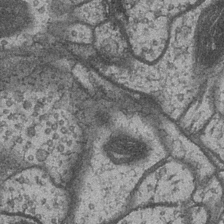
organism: Drosophila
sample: Optic medulla